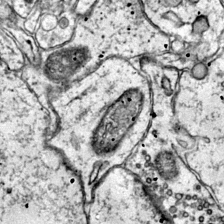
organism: Mouse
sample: Primary visual cortex